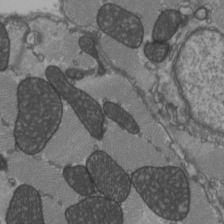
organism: C57BL Mouse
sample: Heart